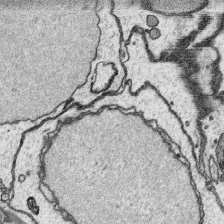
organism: Platynereis dumerilii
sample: Parapodia